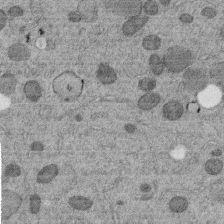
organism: C. elegans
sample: C. elegans embryo early stage